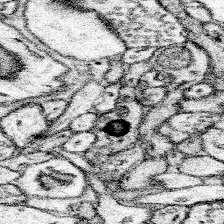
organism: Mouse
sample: Somatosensory cortex neuropil